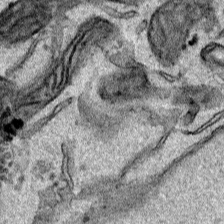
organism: Human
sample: Mitochondria in HCT116 cells